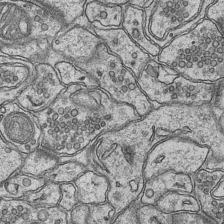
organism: Mouse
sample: CA1 Hippocampus